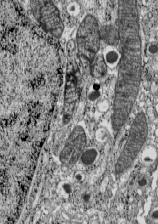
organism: C57BL Mouse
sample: Pancreatic islet